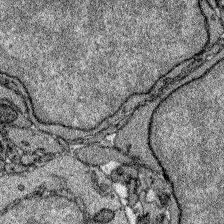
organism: Zebrafish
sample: Larval olfactory bulb